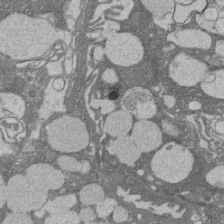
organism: Rat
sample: Salivary granule